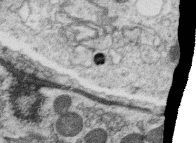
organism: C. elegans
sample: C. elegans oocyte; sperm cells